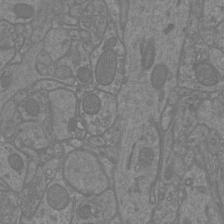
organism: Mouse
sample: Cortical neurons